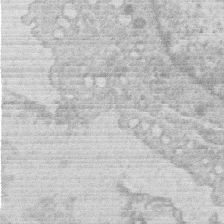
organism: Human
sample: Macrophage cells